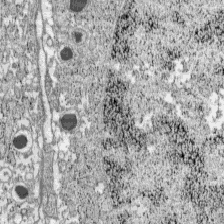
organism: C57BL Mouse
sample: Pancreatic islet